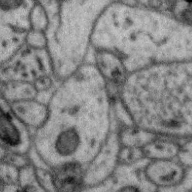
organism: Zebra finch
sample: Brain